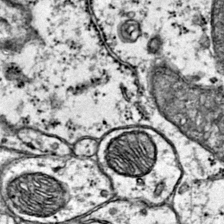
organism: Mouse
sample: Primary visual cortex